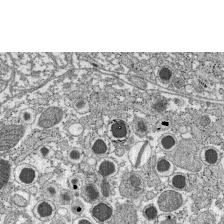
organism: C57BL Mouse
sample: Pancreatic islet